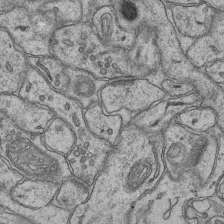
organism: Mouse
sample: CA1 Hippocampus